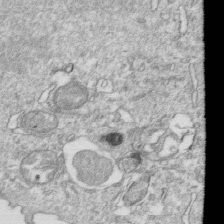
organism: Mouse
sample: Activated OT-1 CD8+ T cells